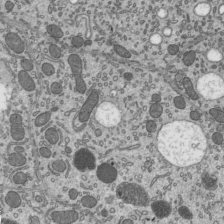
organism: Mouse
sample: Mouse epididymis efferent ductule cilia